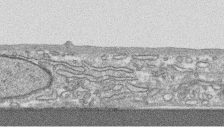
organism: Human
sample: CRL-1474